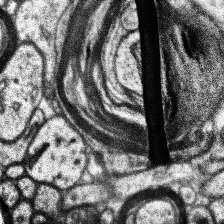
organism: Human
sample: Temporal Lobe